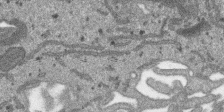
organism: Human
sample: Lung epithelial cells infected with SARS-CoV-2